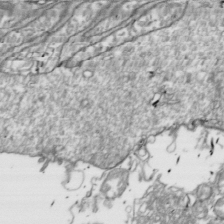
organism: Drosophila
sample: Cell division; meiosis; drosophila spermatocytes